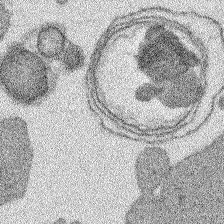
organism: Human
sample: HeLa cells